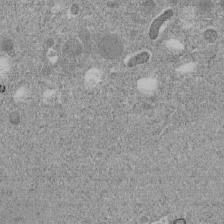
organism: C. elegans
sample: C. elegans embryo early stage